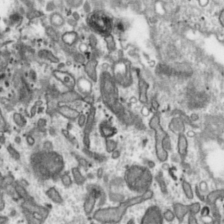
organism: Toxoplasma gondii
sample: Parasites in a vacuole inside a host cell